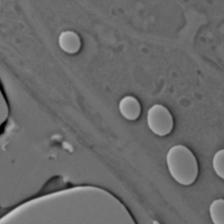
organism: C. elegans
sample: C. elegans embryo